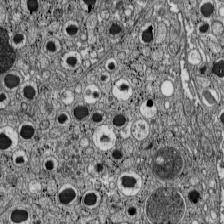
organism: C57BL Mouse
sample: Pancreatic islet